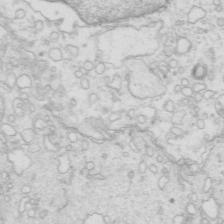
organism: Mouse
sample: Multiciliated cells